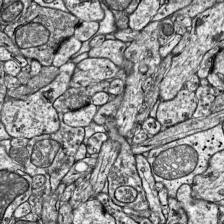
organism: Mouse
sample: Visual Cortex